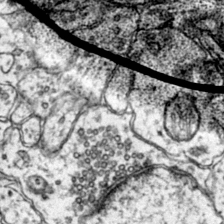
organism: Mouse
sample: Primary visual cortex